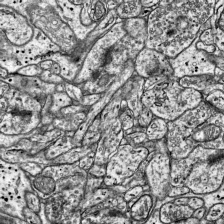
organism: Mouse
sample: Visual Cortex